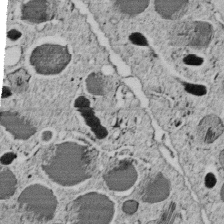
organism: C. elegans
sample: C. elegans embryo early stage